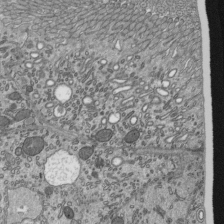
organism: Mouse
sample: Mouse epididymis efferent ductule cilia